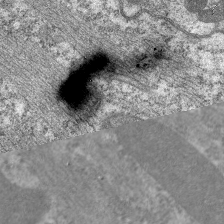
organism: C. elegans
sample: Pharynx